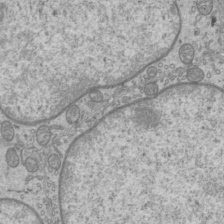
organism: Mouse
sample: Cilia; mouse epididymis